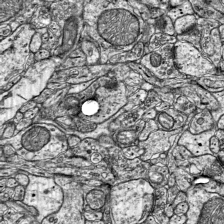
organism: Mouse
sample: Visual Cortex